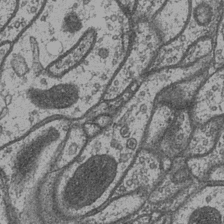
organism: Drosophila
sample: Optic medulla